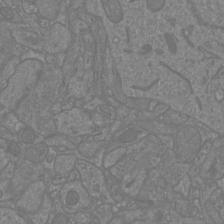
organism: Mouse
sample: Cortical neurons